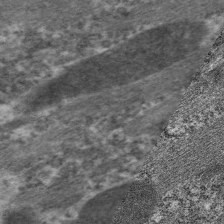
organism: C. elegans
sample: Pharynx